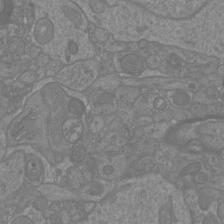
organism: Mouse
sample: Cortical neurons